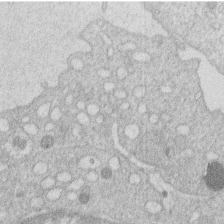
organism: Human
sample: Macrophage cells